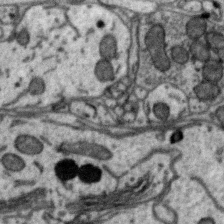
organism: Zebra finch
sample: Brain